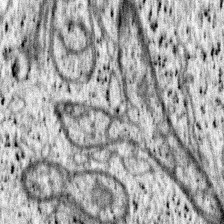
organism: Human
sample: HeLa cells